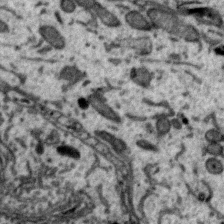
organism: Zebra finch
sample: Brain